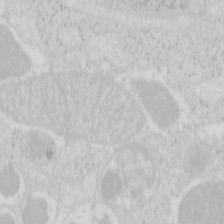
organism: Mouse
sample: Pancreas